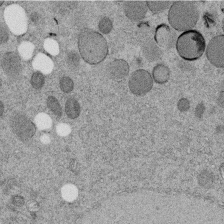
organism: C. elegans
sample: C. elegans embryo early stage